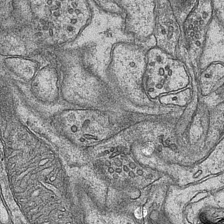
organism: Mouse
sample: CA1 Hippocampus